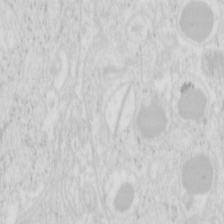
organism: Mouse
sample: Pancreas